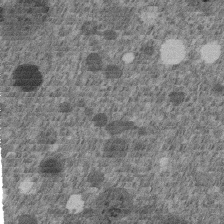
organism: C. elegans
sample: C. elegans embryo early stage